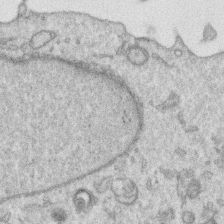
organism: Human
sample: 1205lu cells